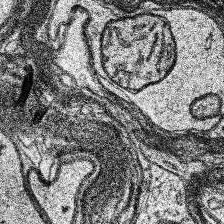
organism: Human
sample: Temporal Lobe